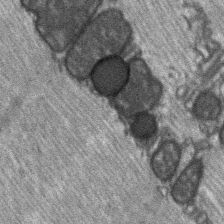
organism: C57BL Mouse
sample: Soleus